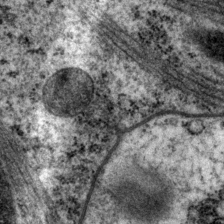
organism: P. pacificus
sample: Pharynx